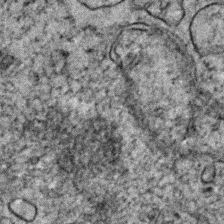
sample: Trachea